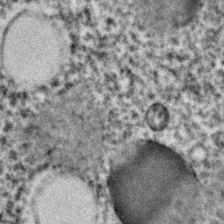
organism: C. elegans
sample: C. elegans embryo